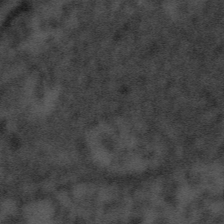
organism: Tuwongella immobilis